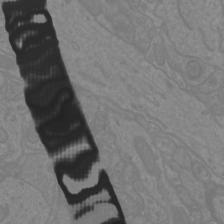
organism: Mouse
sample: Cortical neurons